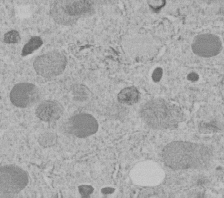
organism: C. elegans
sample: C. elegans embryo early stage